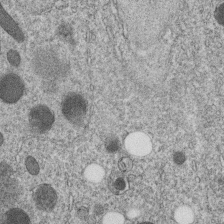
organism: C. elegans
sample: C. elegans embryo early stage